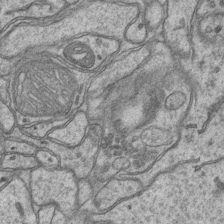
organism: Mouse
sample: CA1 Hippocampus